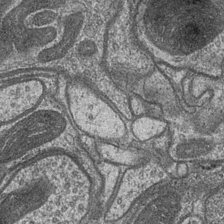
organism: Drosophila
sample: Optic medulla